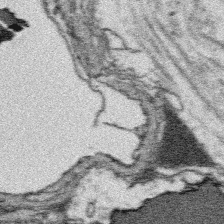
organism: Platynereis dumerilii